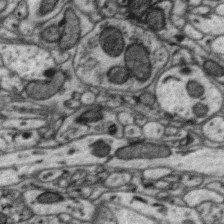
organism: Zebra finch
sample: Brain